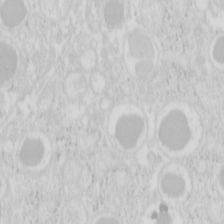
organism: Mouse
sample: Pancreas